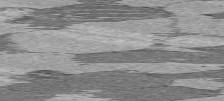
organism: C57BL Mouse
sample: Heart